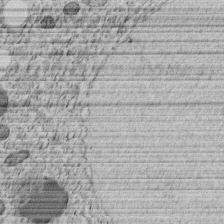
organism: C. elegans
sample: C. elegans embryo early stage